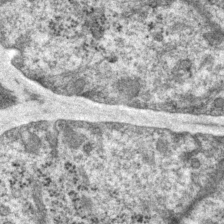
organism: P. pacificus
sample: Pharynx